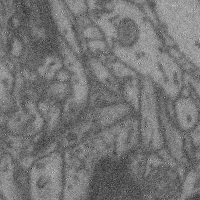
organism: Mouse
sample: Cerebral cortex